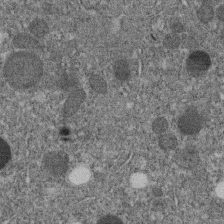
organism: C. elegans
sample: C. elegans embryo early stage